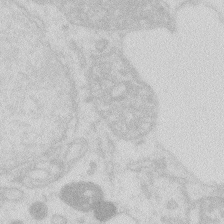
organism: Zebrafish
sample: Macrophage